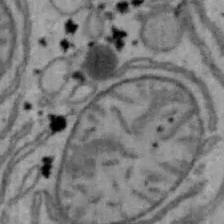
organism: Mouse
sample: Liver